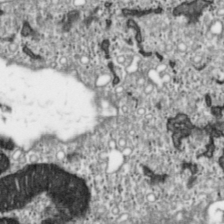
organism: Toxoplasma gondii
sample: Parasites in a vacuole inside a host cell